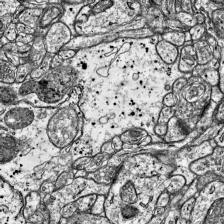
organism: Mouse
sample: Visual Cortex